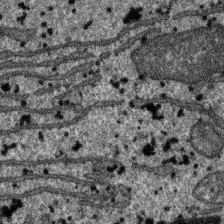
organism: Human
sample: Lung epithelial cells infected with SARS-CoV-2